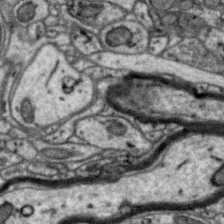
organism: Zebra finch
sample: Brain